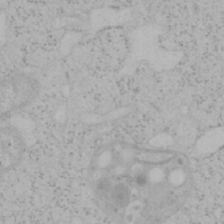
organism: Mouse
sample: OT-I killer T cells with ID8 ovarian cancer cells